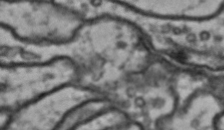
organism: Drosophila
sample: Brain